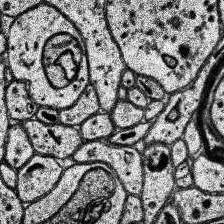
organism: Human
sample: Temporal Lobe